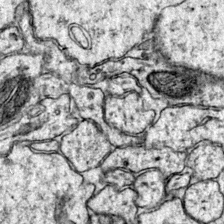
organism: Mouse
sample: Primary visual cortex